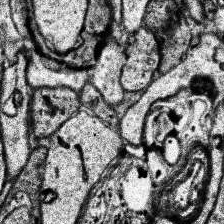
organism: Human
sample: Temporal Lobe